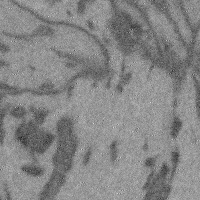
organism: Mouse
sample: Cerebral cortex